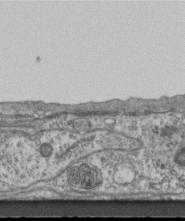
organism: Mouse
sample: Centriole in ependymal cells